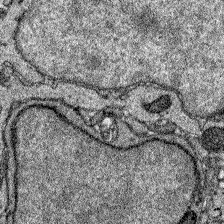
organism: Zebrafish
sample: Larval olfactory bulb